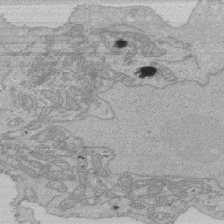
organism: Human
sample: Activated Jurkat CD4+ T cells